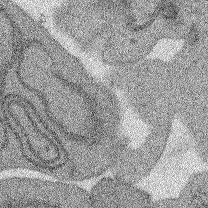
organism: Human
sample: HeLa cells